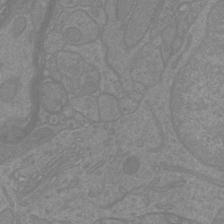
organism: Mouse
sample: Cortical neurons